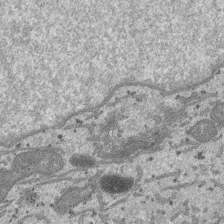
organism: Human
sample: Lung epithelial cells infected with SARS-CoV-2